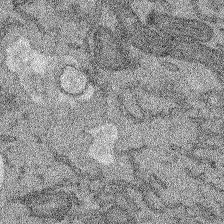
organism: Human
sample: HeLa cells